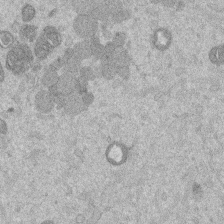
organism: Mouse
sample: Dividing mouse embryo 1 cell stage